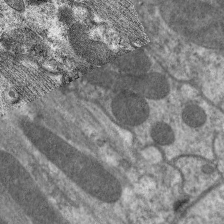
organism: C. elegans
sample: Pharynx